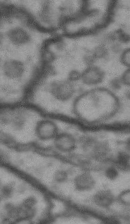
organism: Drosophila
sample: Brain